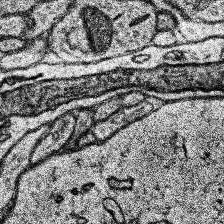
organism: Human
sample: Temporal Lobe